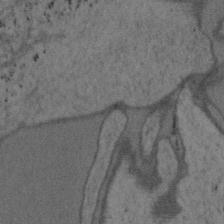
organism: Human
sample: HeLa cells